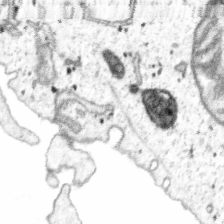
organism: Human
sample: HeLa cells